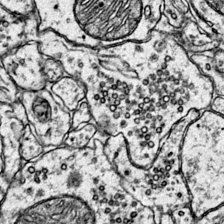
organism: Mouse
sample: Primary visual cortex